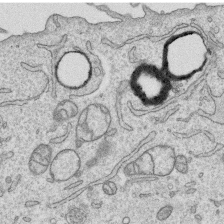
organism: Human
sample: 1205lu cells